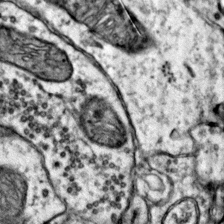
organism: Mouse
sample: Primary visual cortex